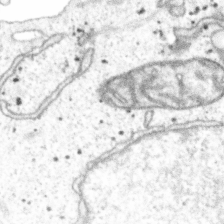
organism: Human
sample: HeLa cells